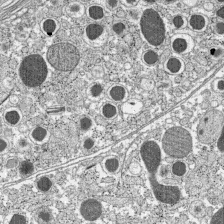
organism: C57BL Mouse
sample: Pancreatic islet